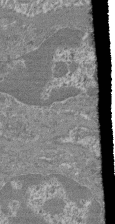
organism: Mouse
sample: Glomerulus